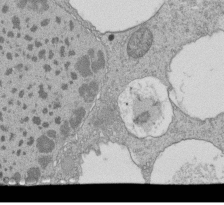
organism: Tetrahymena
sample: Cilia in tetrahymena